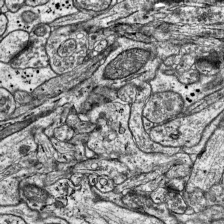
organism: Mouse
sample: Visual Cortex